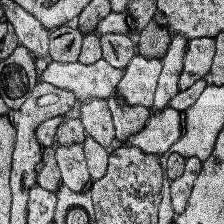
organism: Human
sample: Temporal Lobe